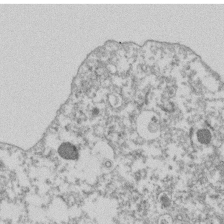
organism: Dictyostelium discoideum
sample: Dictyostelium multivesicular bodies